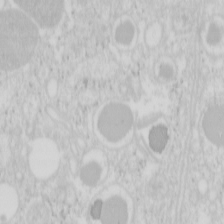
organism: Mouse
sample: Pancreas